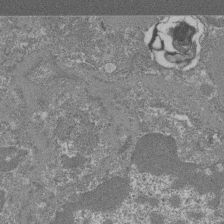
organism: Mouse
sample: Glomerulus